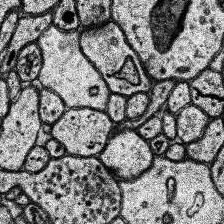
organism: Human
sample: Temporal Lobe